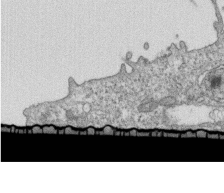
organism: Human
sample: HeLa cell HIV synapse